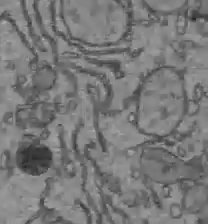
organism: C57BL Mouse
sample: Liver